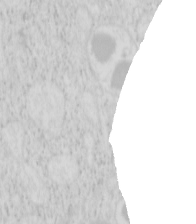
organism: Mouse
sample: Pancreas